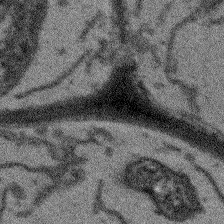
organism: Arabidopsis thaliana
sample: Root tip